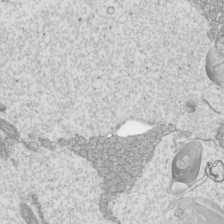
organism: Mouse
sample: Cilia; mouse epididymis